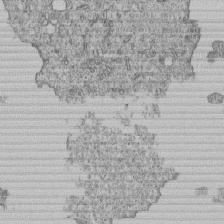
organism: Human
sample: MDA-MB-231 cells